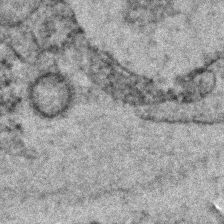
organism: C. elegans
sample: C. elegans embryo